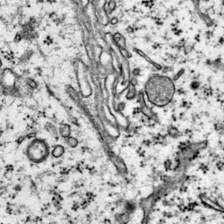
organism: Mouse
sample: Primary visual cortex